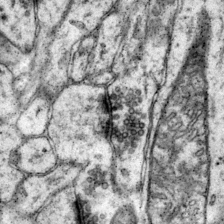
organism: Mouse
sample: Primary visual cortex